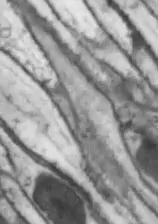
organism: Drosophila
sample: Optic lobe